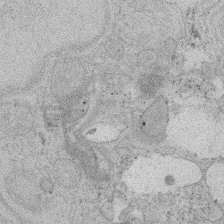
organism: Rat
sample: Salivary granule